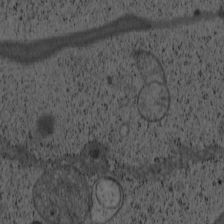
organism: African green monkey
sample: COS-7 cells